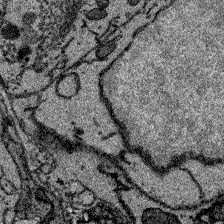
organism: Zebrafish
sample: Larval olfactory bulb